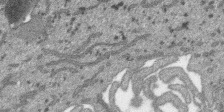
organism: Human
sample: Lung epithelial cells infected with SARS-CoV-2